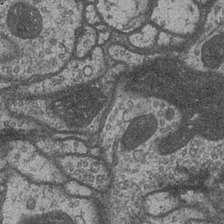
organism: Drosophila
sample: Optic medulla